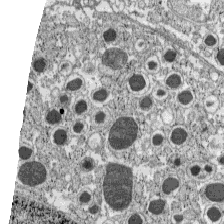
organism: C57BL Mouse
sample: Pancreatic islet